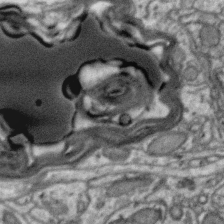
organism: Zebra finch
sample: Brain